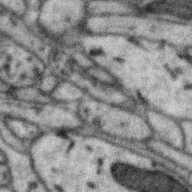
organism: Zebra finch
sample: Brain